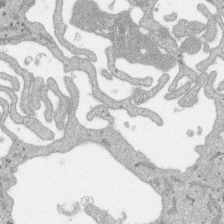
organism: Human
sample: Lung epithelial cells infected with SARS-CoV-2